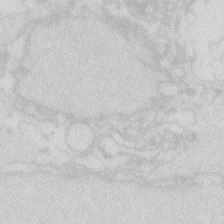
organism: Zebrafish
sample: Macrophage